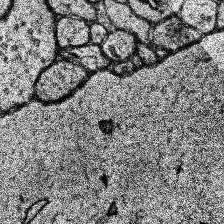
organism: Human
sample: Temporal Lobe